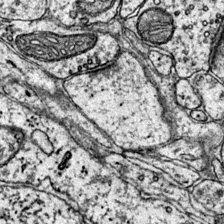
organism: Mouse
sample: Primary visual cortex